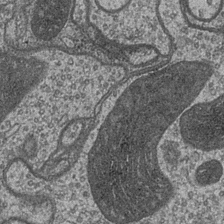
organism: Drosophila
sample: Optic medulla